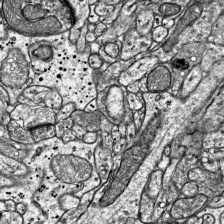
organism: Mouse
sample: Visual Cortex